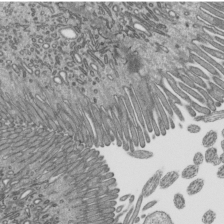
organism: Mouse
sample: Mouse epididymis efferent ductule cilia